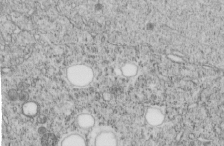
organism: C. elegans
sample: C. elegans embryo early stage